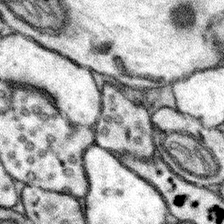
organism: Mouse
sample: Somatosensory cortex neuropil